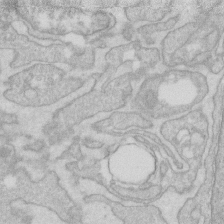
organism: Human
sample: Fibroblast cells